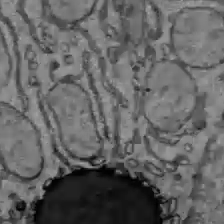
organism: C57BL Mouse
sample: Liver